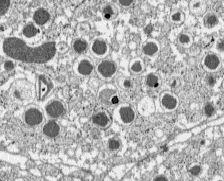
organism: C57BL Mouse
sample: Pancreatic islet